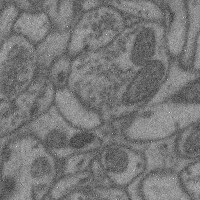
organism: Mouse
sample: Cerebral cortex